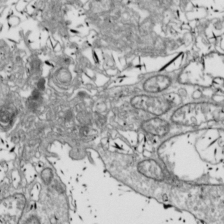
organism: Drosophila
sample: Cell division; meiosis; drosophila spermatocytes